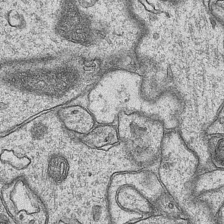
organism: Mouse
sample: CA1 Hippocampus